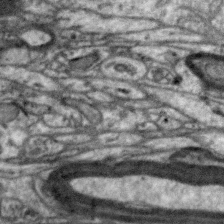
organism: Zebra finch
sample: Brain